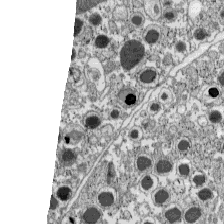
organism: C57BL Mouse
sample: Pancreatic islet